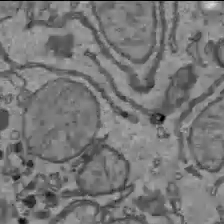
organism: C57BL Mouse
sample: Liver